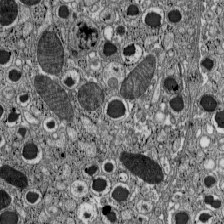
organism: C57BL Mouse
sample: Pancreatic islet